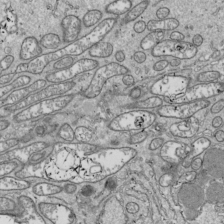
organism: Drosophila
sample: Cell division; meiosis; drosophila spermatocytes